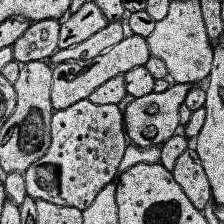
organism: Human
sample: Temporal Lobe